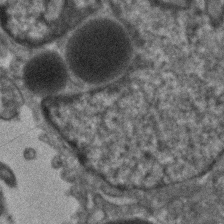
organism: Human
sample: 1205lu cells